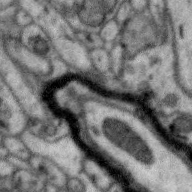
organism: Zebra finch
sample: Brain